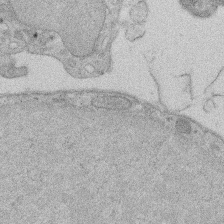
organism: Rat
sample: Salivary granule